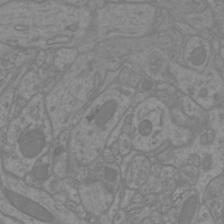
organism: Mouse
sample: Cortical neurons